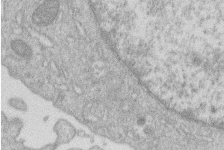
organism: Human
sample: Macrophage cells